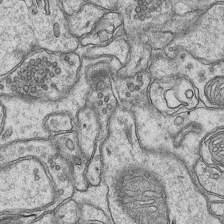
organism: Mouse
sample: CA1 Hippocampus